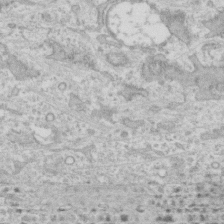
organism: Human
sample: CRL-1474